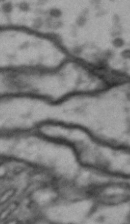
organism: Drosophila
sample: Brain